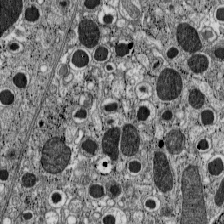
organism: C57BL Mouse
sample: Pancreatic islet